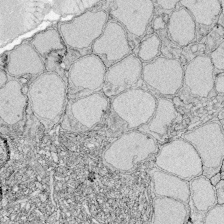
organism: Zebrafish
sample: Whole-Brain